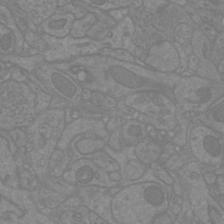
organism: Mouse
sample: Cortical neurons